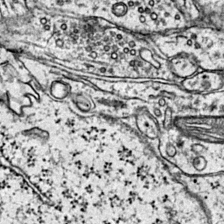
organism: Mouse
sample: Primary visual cortex